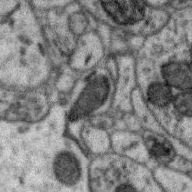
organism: Zebra finch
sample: Brain